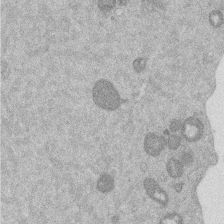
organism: Mouse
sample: Dividing mouse embryo 1 cell stage